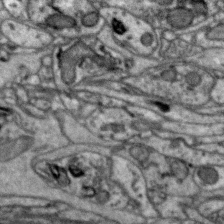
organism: Zebra finch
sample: Brain